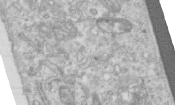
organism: Human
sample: Centriole in RPE cells